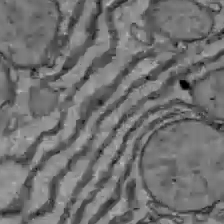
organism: C57BL Mouse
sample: Liver